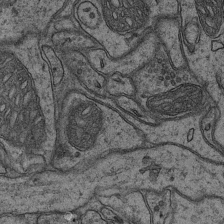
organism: Mouse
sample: CA1 Hippocampus